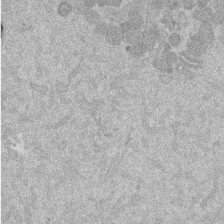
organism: Mouse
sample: Dividing mouse embryo 1 cell stage